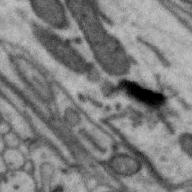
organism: Zebra finch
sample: Brain